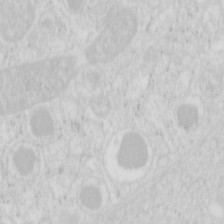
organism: Mouse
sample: Pancreas